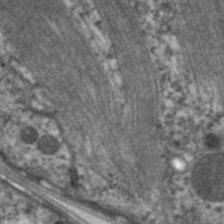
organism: C. elegans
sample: Pharynx